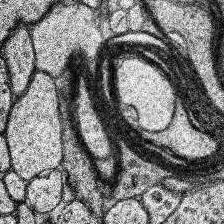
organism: Human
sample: Temporal Lobe